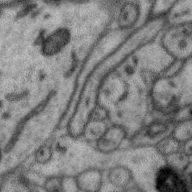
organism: Zebra finch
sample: Brain